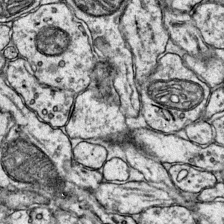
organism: Mouse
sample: Primary visual cortex